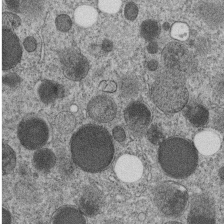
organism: C. elegans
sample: C. elegans embryo early stage